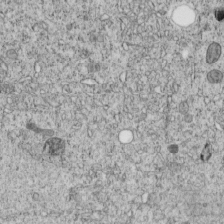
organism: C. elegans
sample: C. elegans embryo early stage